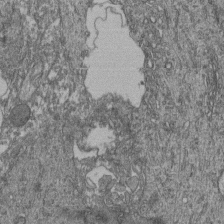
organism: Human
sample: Retinal organoid Rod and Cone cells